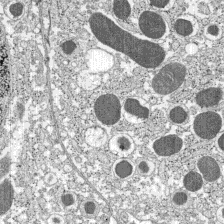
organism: C57BL Mouse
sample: Pancreatic islet